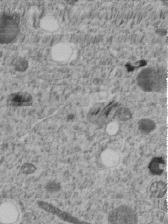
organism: C. elegans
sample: C. elegans embryo early stage